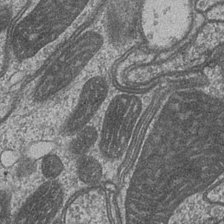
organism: Drosophila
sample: Optic medulla